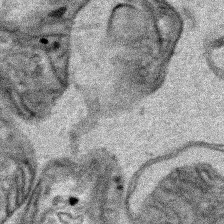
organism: Human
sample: Mitochondria in HCT116 cells